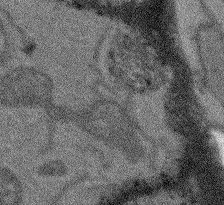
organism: Arabidopsis thaliana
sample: Root tip